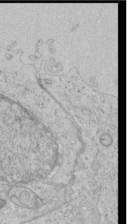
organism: Human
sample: Mitochondria in HCT116 cells